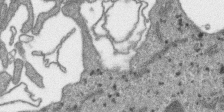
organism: Human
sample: Lung epithelial cells infected with SARS-CoV-2